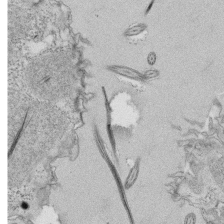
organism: Tetrahymena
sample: Cilia in tetrahymena